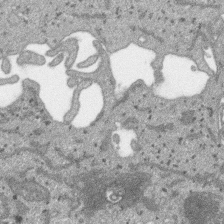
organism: Human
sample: Lung epithelial cells infected with SARS-CoV-2